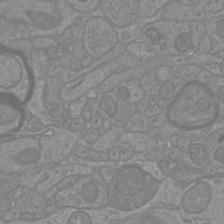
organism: Mouse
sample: Cortical neurons